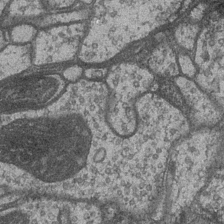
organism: Drosophila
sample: Optic medulla